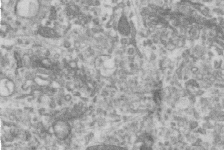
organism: Human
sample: Centriole in RPE cells